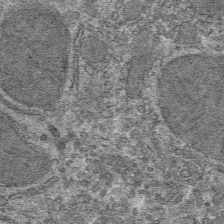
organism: Mouse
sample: Mouse hepatocytes